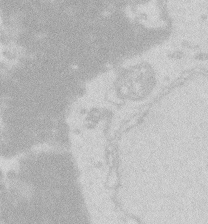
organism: Zebrafish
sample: Macrophage